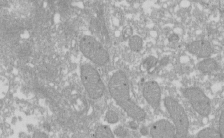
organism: Xenopus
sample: Cilia; centrioles in frog embryo cells